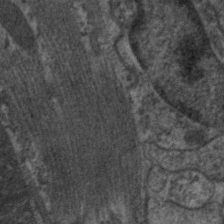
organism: C. elegans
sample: Pharynx